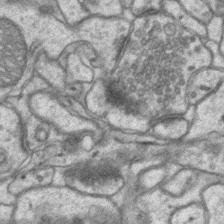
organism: Mouse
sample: CA1 Hippocampus